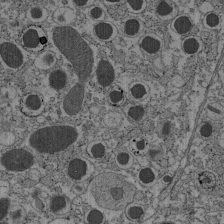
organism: C57BL Mouse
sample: Pancreatic islet